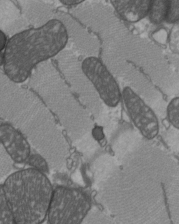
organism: C57BL Mouse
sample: Heart